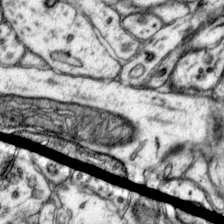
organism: Mouse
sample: Primary visual cortex